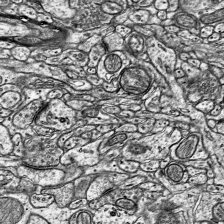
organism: Mouse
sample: Visual Cortex